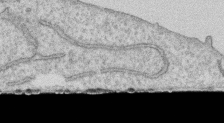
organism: Human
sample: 1205lu cells